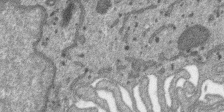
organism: Human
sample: Lung epithelial cells infected with SARS-CoV-2